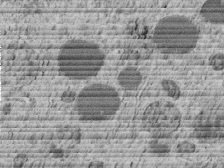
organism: C. elegans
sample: C. elegans embryo early stage